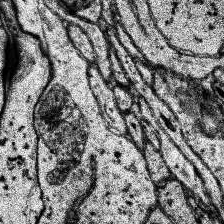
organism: Human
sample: Temporal Lobe